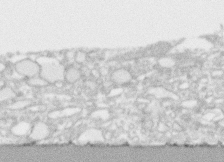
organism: Human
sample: CRL-1474